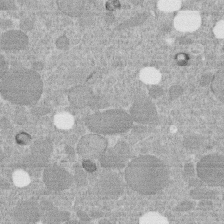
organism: C. elegans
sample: C. elegans embryo early stage